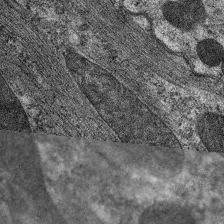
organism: C. elegans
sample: Pharynx